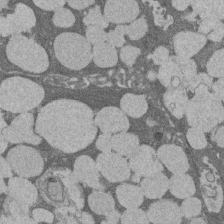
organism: Rat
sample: Salivary granule